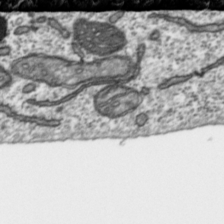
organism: Toxoplasma gondii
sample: Parasites in a vacuole inside a host cell